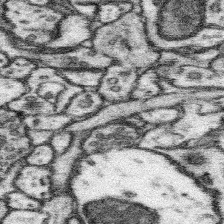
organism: Mouse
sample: Somatosensory cortex neuropil